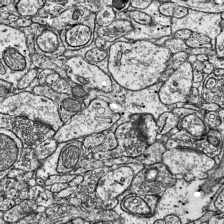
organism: Mouse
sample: Visual Cortex